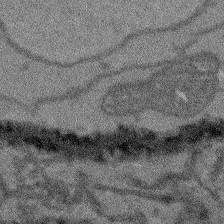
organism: Arabidopsis thaliana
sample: Root tip